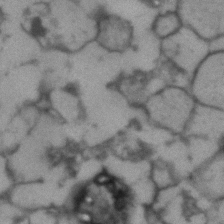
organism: Human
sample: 1205lu cells